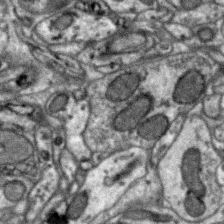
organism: Zebra finch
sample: Brain